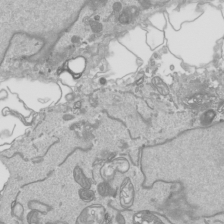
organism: Human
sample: Mitochondria in HCT116 cells